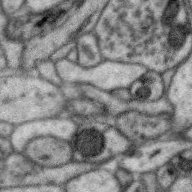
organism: Zebra finch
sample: Brain